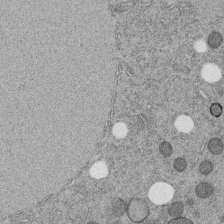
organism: C. elegans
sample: C. elegans embryo early stage